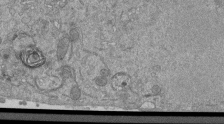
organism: Mouse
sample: ED-1 cell nuclei; centrioles